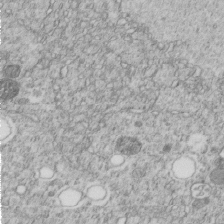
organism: C. elegans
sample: C. elegans embryo early stage